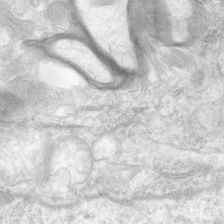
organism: Human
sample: Neocortex